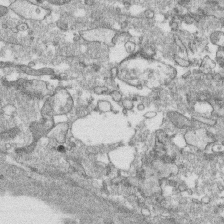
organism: Human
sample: CRL-1474